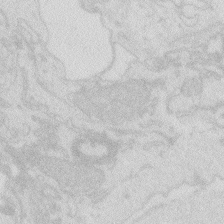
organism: Zebrafish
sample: Macrophage